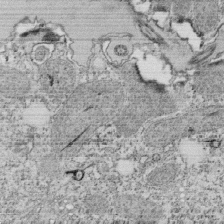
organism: Tetrahymena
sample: Cilia in tetrahymena